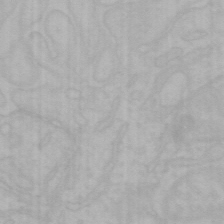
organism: Mouse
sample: Choroid plexus